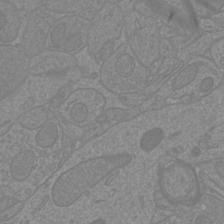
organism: Mouse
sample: Cortical neurons